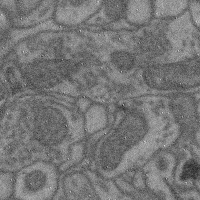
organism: Mouse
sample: Cerebral cortex